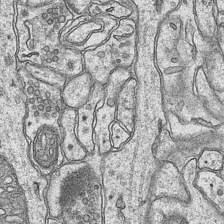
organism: Mouse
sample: CA1 Hippocampus